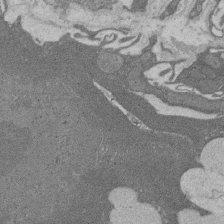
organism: Rat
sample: Salivary granule